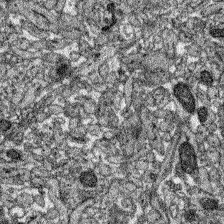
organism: Zebrafish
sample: Larval olfactory bulb